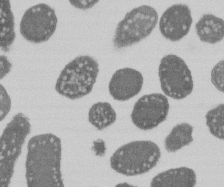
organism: E. coli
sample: Bacterial nucleoid